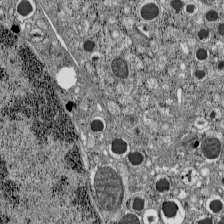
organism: C57BL Mouse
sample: Pancreatic islet